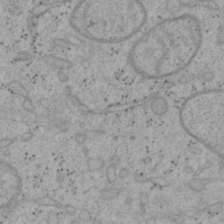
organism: Human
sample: HeLa cells